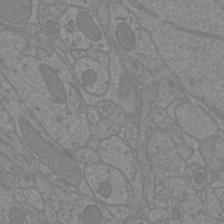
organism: Mouse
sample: Cortical neurons